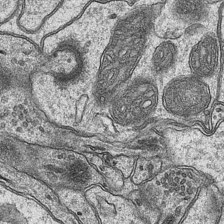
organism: Mouse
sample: CA1 Hippocampus